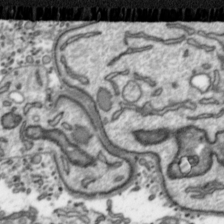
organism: Toxoplasma gondii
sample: Parasites in a vacuole inside a host cell